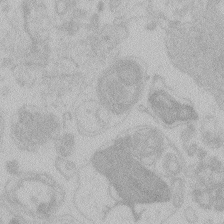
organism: Zebrafish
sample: Macrophage infected with Toxoplasma gondii